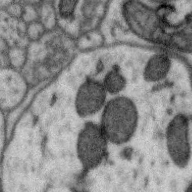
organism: Zebra finch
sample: Brain